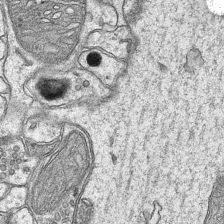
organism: Mouse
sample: CA1 Hippocampus